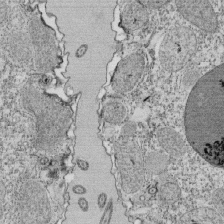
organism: Tetrahymena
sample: Cilia in tetrahymena